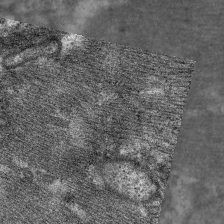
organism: C. elegans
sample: Pharynx